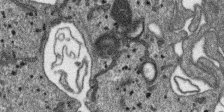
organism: Human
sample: Lung epithelial cells infected with SARS-CoV-2